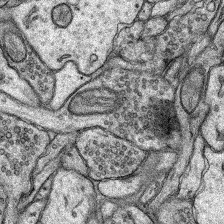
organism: Rat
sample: Hippocampus